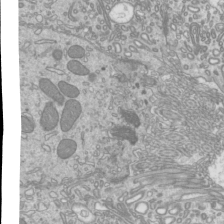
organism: Mouse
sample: Cilia; mouse epididymis